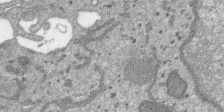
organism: Human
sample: Lung epithelial cells infected with SARS-CoV-2